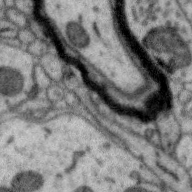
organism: Zebra finch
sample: Brain